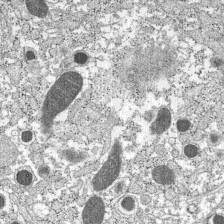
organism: C57BL Mouse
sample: Pancreatic islet